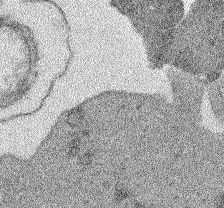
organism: Human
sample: HeLa cells